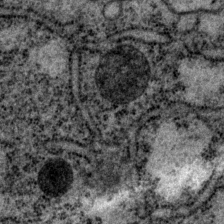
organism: P. pacificus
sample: Pharynx